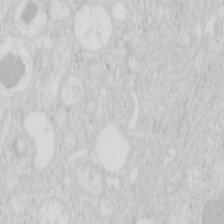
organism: Mouse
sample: Pancreas